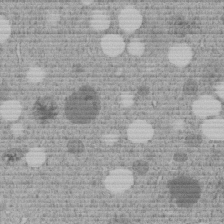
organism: C. elegans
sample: C. elegans embryo early stage